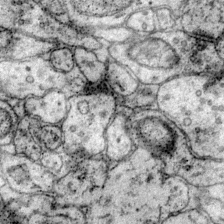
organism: Mouse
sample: Primary visual cortex